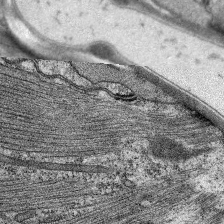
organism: C. elegans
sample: Pharynx